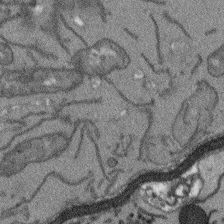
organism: Arabidopsis thaliana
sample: Root tip